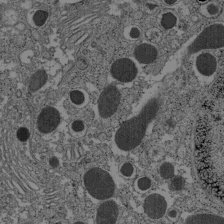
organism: C57BL Mouse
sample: Pancreatic islet